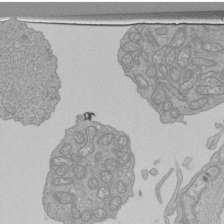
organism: Human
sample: Retinal organoid Rod and Cone cells